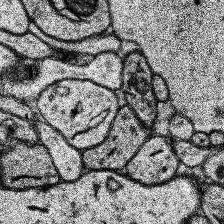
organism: Human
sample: Temporal Lobe